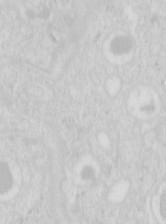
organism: Mouse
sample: Pancreas